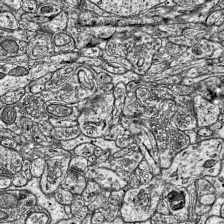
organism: Mouse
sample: Visual Cortex